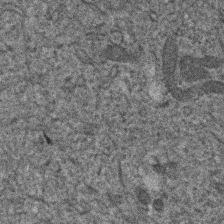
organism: Human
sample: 1205lu cells